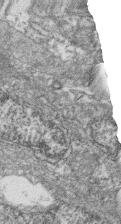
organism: Zebrafish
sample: Cilia; retinal pigment epithelium